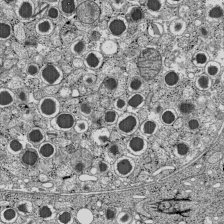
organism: C57BL Mouse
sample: Pancreatic islet